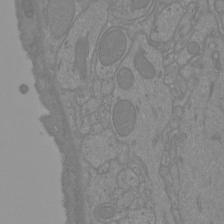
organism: Mouse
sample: Cortical neurons